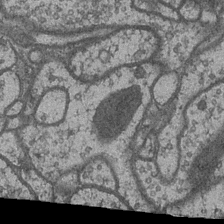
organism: Drosophila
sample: Optic medulla